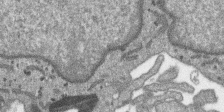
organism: Human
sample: Lung epithelial cells infected with SARS-CoV-2